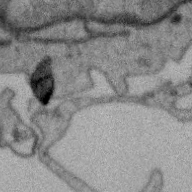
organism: Zebra finch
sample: Brain